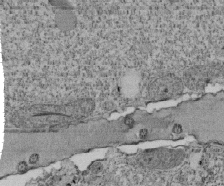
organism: Tetrahymena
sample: Cilia in tetrahymena